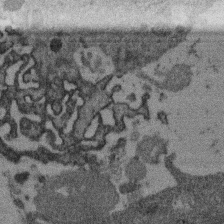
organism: Mouse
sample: Dividing mouse embryo 1 cell stage